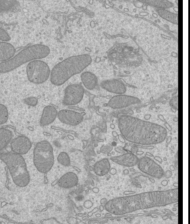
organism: Mouse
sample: Cilia; mouse epididymis